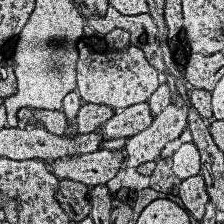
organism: Human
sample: Temporal Lobe